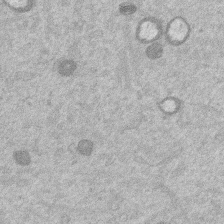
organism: Mouse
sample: Dividing mouse embryo 1 cell stage